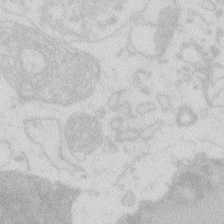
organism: Zebrafish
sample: Macrophage